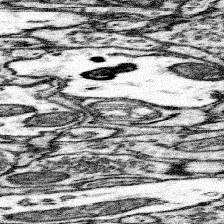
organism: Mouse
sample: Somatosensory cortex neuropil